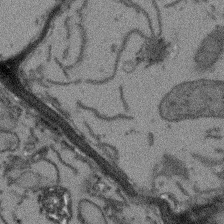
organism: Arabidopsis thaliana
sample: Root tip